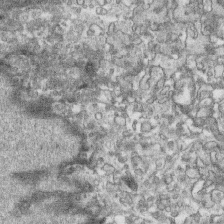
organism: Human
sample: CRL-1474